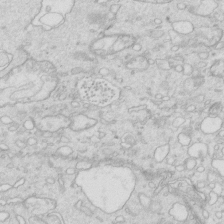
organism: Mouse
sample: Multiciliated cells